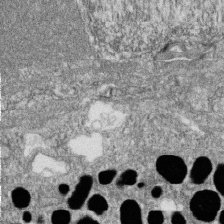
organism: Zebrafish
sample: Cilia; retinal pigment epithelium